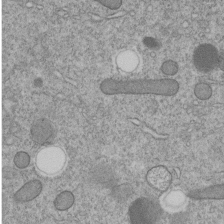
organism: C. elegans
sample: C. elegans embryo early stage